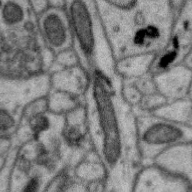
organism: Zebra finch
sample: Brain